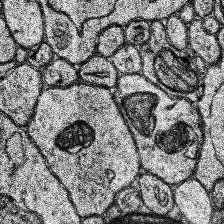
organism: Human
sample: Temporal Lobe